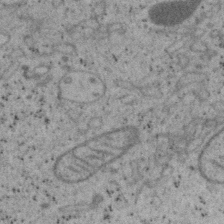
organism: Human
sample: HeLa cells